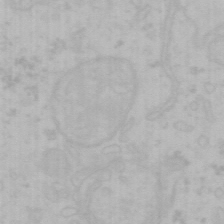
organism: Mouse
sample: Choroid plexus